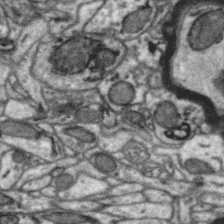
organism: Zebra finch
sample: Brain